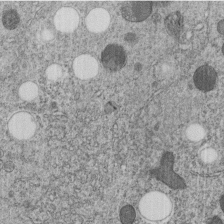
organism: C. elegans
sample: C. elegans embryo early stage